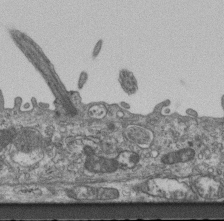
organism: Mouse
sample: Centriole in ependymal cells